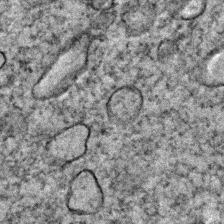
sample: Trachea